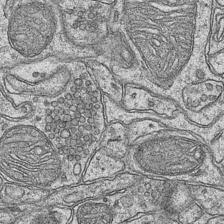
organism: Mouse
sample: CA1 Hippocampus